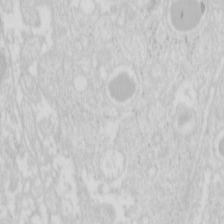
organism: Mouse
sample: Pancreas